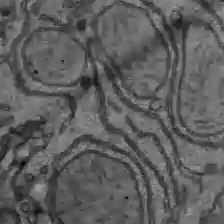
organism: C57BL Mouse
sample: Liver